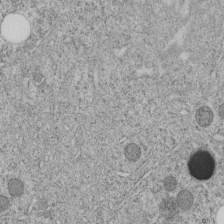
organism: C. elegans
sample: C. elegans embryo early stage